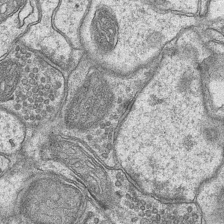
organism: Mouse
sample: CA1 Hippocampus